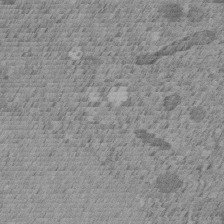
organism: C. elegans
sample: C. elegans embryo early stage